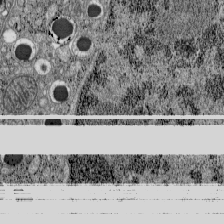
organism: C57BL Mouse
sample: Pancreatic islet